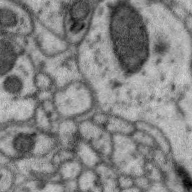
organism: Zebra finch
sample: Brain